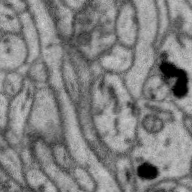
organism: Zebra finch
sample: Brain